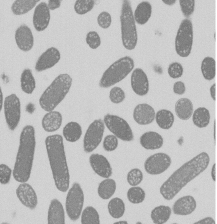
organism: E. coli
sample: Bacterial nucleoid